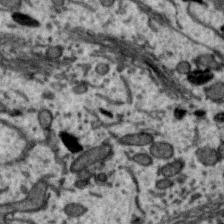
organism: Zebra finch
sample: Brain